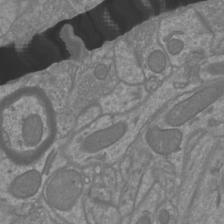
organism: Mouse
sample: Cortical neurons